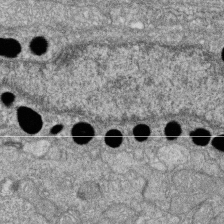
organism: Zebrafish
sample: Cilia; retinal pigment epithelium